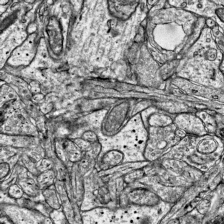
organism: Mouse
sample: Visual Cortex